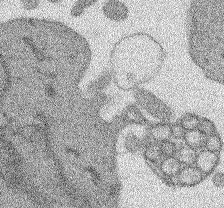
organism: Human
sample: HeLa cells